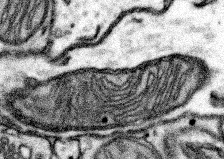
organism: Mouse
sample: Somatosensory cortex neuropil